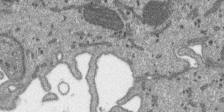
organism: Human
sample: Lung epithelial cells infected with SARS-CoV-2